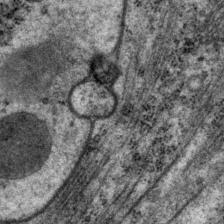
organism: P. pacificus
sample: Pharynx